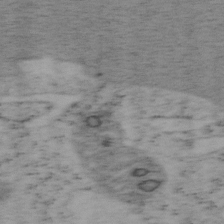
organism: Mouse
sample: OT-I killer T cells with ID8 ovarian cancer cells